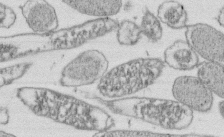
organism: E. coli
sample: Bacterial nucleoid